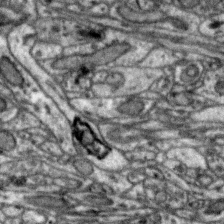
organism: Zebra finch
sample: Brain